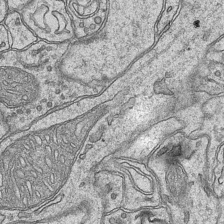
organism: Mouse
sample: CA1 Hippocampus